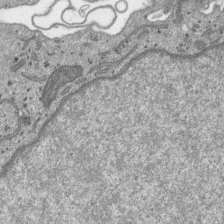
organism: Human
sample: Lung epithelial cells infected with SARS-CoV-2